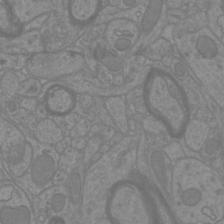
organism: Mouse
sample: Cortical neurons